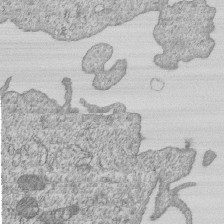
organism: Human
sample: MDA-MB-231 cells